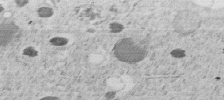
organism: C. elegans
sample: C. elegans embryo early stage